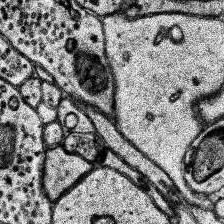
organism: Human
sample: Temporal Lobe